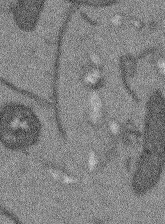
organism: Arabidopsis thaliana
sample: Root tip